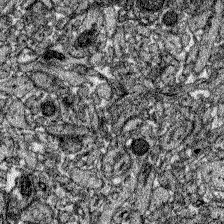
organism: Zebrafish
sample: Larval olfactory bulb